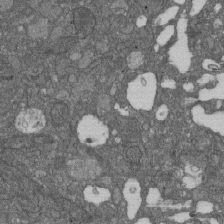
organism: Drosophila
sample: Nephrocyte